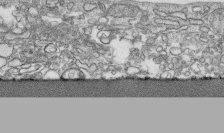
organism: Human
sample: CRL-1474